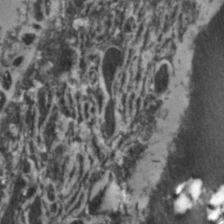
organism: Zebrafish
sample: Zebrafish embryo